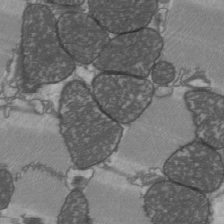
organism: C57BL Mouse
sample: Heart